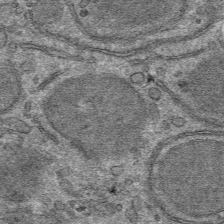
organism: Mouse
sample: Mouse hepatocytes